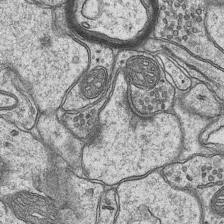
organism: Mouse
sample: CA1 Hippocampus